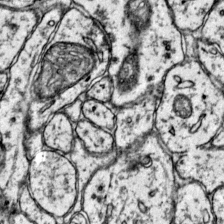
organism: Mouse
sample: Primary visual cortex